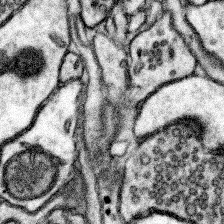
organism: Mouse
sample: Somatosensory cortex neuropil